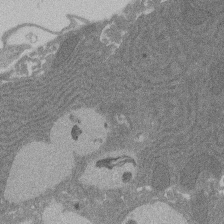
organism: Rat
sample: Salivary granule